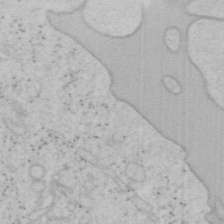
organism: Human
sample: HeLa cells